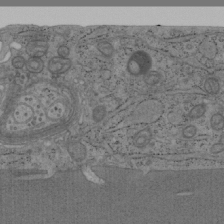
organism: Human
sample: HeLa cells